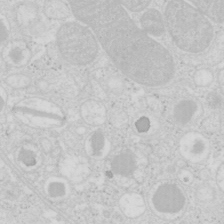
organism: Mouse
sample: Pancreas